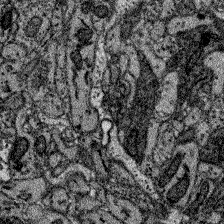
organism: Zebrafish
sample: Larval olfactory bulb